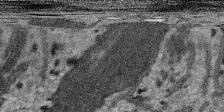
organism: Human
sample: Lung epithelial cells infected with SARS-CoV-2